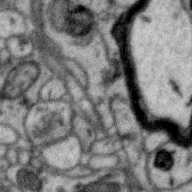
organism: Zebra finch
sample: Brain